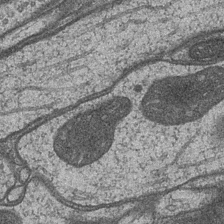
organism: Drosophila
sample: Optic medulla